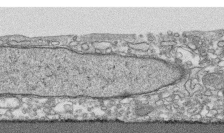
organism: Human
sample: CRL-1474